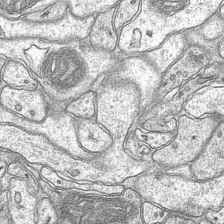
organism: Mouse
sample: CA1 Hippocampus